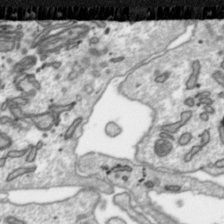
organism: Toxoplasma gondii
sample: Parasites in a vacuole inside a host cell